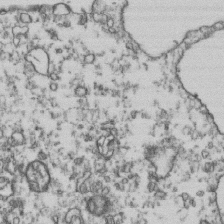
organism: Human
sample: Activated Jurkat CD4+ T cells